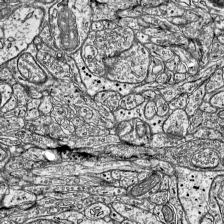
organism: Mouse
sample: Visual Cortex